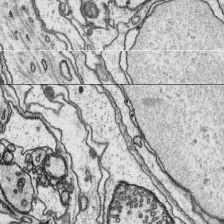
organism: Platynereis dumerilii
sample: Parapodia